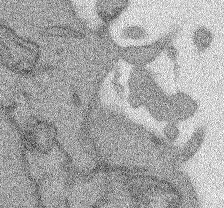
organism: Human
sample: HeLa cells